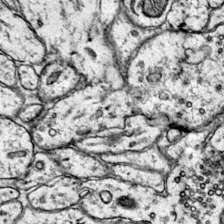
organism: Mouse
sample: Primary visual cortex